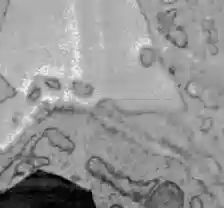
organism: C57BL Mouse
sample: Liver